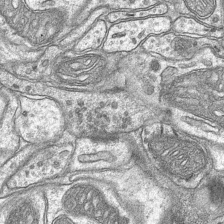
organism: Mouse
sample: CA1 Hippocampus